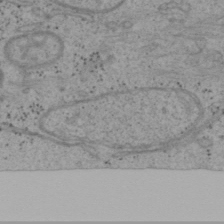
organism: Human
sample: HeLa cells